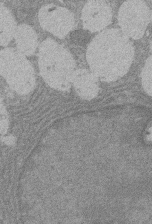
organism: Rat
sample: Salivary granule